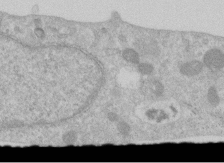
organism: Human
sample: Centriole in RPE cells